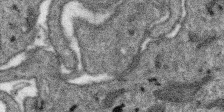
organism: Human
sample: Lung epithelial cells infected with SARS-CoV-2